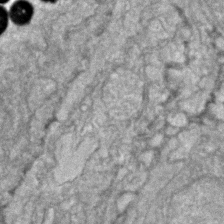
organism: Zebrafish